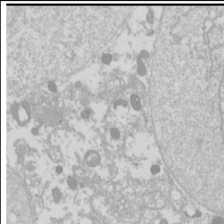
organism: Drosophila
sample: Cell division; meiosis; drosophila spermatocytes